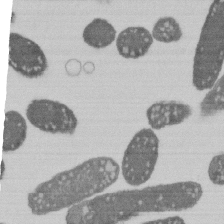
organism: E. coli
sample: Bacterial nucleoid